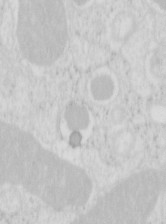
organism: Mouse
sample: Pancreas